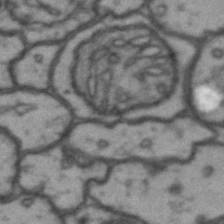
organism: Drosophila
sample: Brain